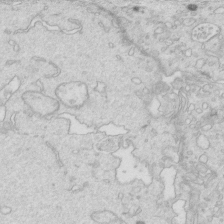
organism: Mouse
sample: Multiciliated cells